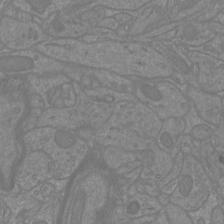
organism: Mouse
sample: Cortical neurons